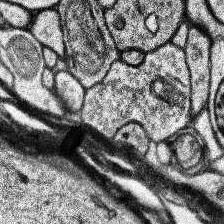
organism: Human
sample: Temporal Lobe